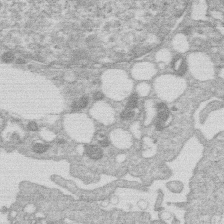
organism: Human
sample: Macrophage cells